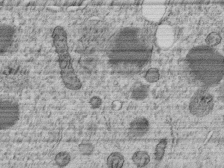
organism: C. elegans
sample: C. elegans embryo early stage